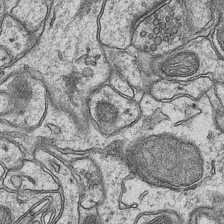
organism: Mouse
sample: CA1 Hippocampus